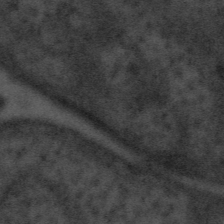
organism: Tuwongella immobilis